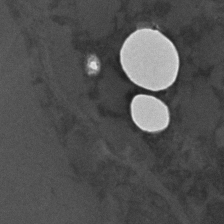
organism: C. elegans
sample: C. elegans embryo